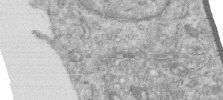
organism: Human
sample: Centriole in RPE cells